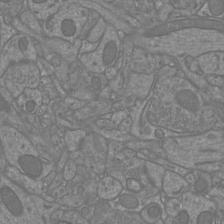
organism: Mouse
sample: Cortical neurons